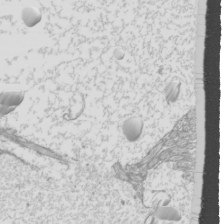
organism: Mouse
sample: Cilia; mouse epididymis